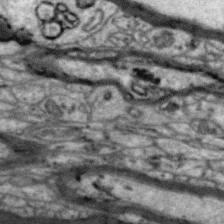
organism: Zebra finch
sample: Brain